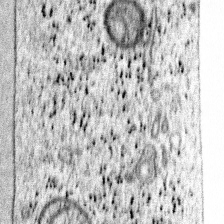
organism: Human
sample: HeLa cells